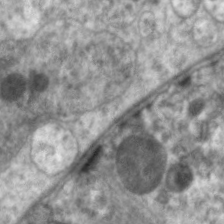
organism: C. elegans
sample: Pharynx